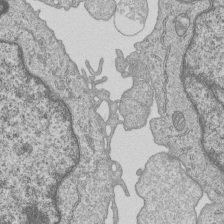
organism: Human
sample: MDA-MB-231 cells